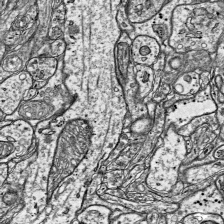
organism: Mouse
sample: Visual Cortex